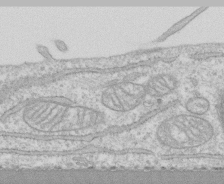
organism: Human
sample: CRL-1474